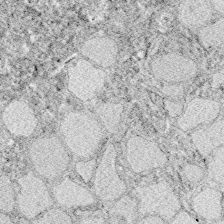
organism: Zebrafish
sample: Whole-Brain